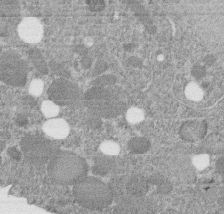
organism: C. elegans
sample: C. elegans embryo early stage